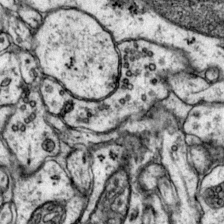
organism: Mouse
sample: Primary visual cortex